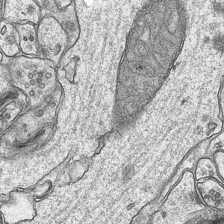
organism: Mouse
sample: CA1 Hippocampus